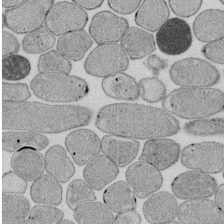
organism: E. coli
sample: Bacterial nucleoid